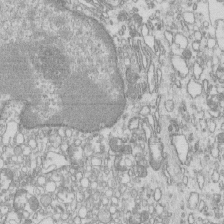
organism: Mouse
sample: Macrophages